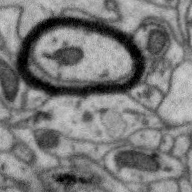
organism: Zebra finch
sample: Brain